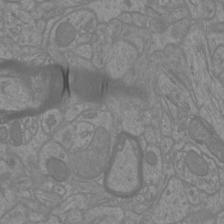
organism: Mouse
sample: Cortical neurons